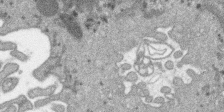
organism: Human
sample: Lung epithelial cells infected with SARS-CoV-2